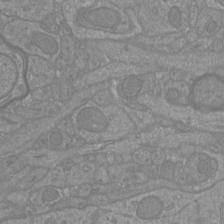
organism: Mouse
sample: Cortical neurons